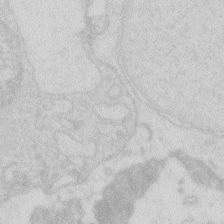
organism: Zebrafish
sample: Macrophage